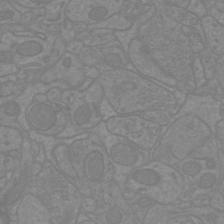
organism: Mouse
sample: Cortical neurons